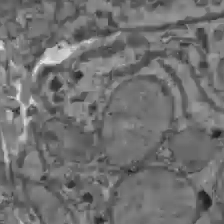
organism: C57BL Mouse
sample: Liver